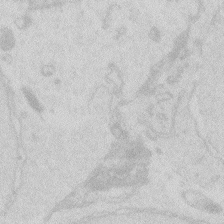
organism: Zebrafish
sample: Macrophage